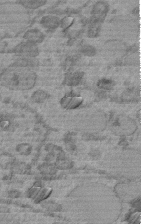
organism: C. elegans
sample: C. elegans embryo early stage